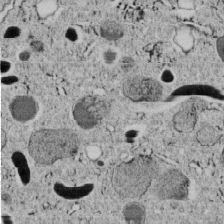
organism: C. elegans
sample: C. elegans embryo early stage